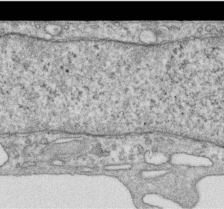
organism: Human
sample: Centriole in RPE cells